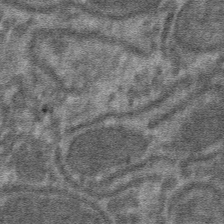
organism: Mouse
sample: Mouse hepatocytes